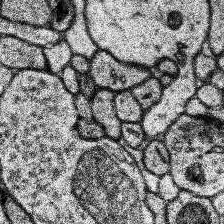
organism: Human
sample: Temporal Lobe